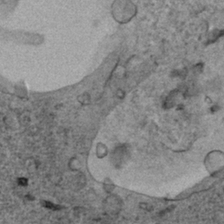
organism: Human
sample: Mitochondria in HCT116 cells